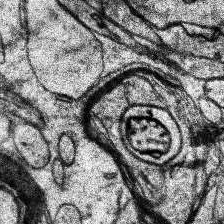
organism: Human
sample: Temporal Lobe